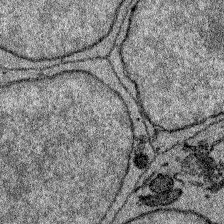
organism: Zebrafish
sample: Larval olfactory bulb